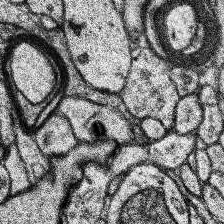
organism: Human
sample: Temporal Lobe